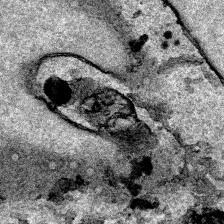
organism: Human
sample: Mitochondria in HCT116 cells